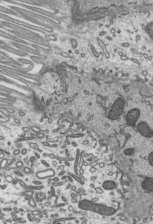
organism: Mouse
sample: Mouse epididymis efferent ductule cilia